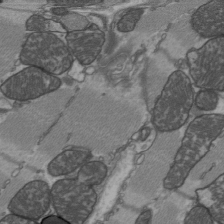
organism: C57BL Mouse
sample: Heart